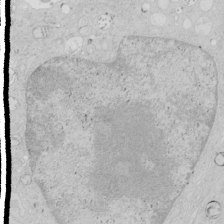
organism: Human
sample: Mitochondria in HCT116 cells